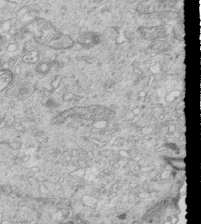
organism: Mouse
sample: Multiciliated cells